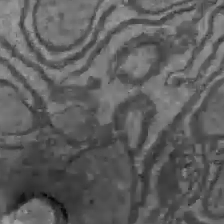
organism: C57BL Mouse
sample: Liver